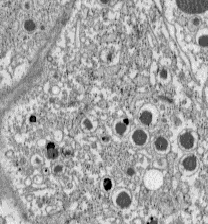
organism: C57BL Mouse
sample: Pancreatic islet